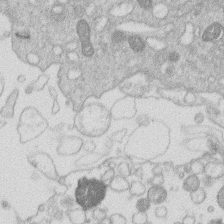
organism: Human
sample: Macrophage cells